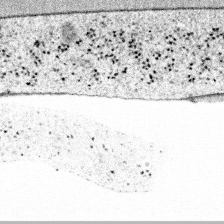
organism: Human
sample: HeLa cells